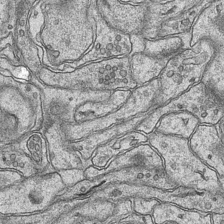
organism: Mouse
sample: CA1 Hippocampus